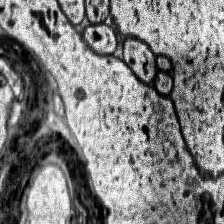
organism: Human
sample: Temporal Lobe